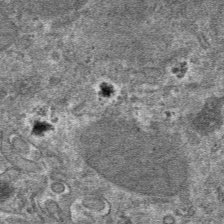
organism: Mouse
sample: Mouse hepatocytes